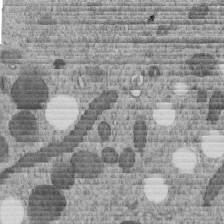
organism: C. elegans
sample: C. elegans embryo early stage